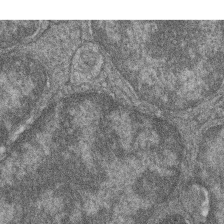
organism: Zebrafish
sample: Cilia; retinal pigment epithelium